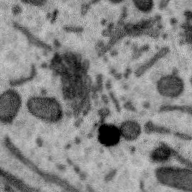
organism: Zebra finch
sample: Brain